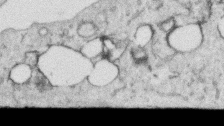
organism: Human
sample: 1205lu cells